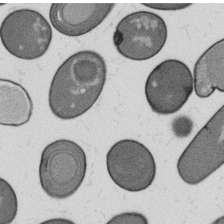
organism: B. subtilis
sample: Bacterial spore